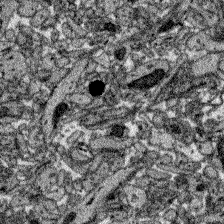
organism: Zebrafish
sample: Larval olfactory bulb